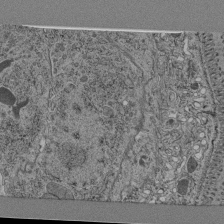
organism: C. elegans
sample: C. elegans pharynx